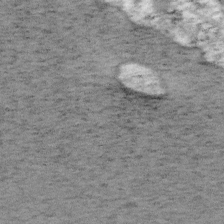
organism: Mouse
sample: OT-I killer T cells with ID8 ovarian cancer cells